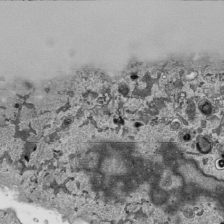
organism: Human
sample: Mitochondria in HCT116 cells